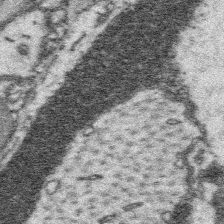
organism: Platynereis dumerilii